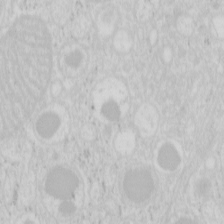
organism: Mouse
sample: Pancreas